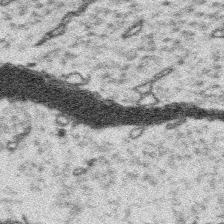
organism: Platynereis dumerilii